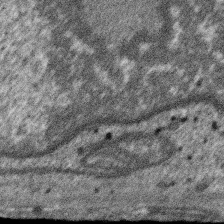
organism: Human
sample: Lung epithelial cells infected with SARS-CoV-2